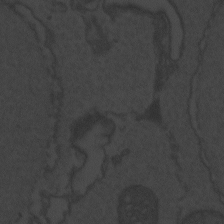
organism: Zebrafish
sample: Macrophage infected with Toxoplasma gondii